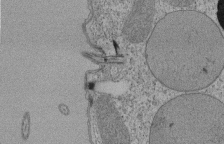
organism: Tetrahymena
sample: Cilia in tetrahymena